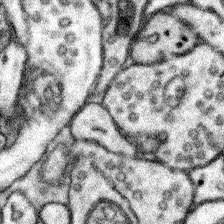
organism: Mouse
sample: Somatosensory cortex neuropil